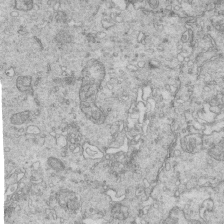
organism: Mouse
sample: Multiciliated cells